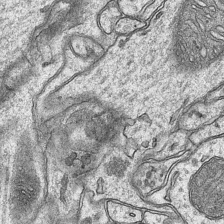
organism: Mouse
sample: CA1 Hippocampus